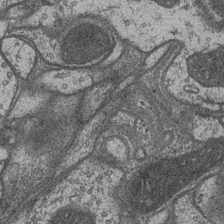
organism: Drosophila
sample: Optic medulla